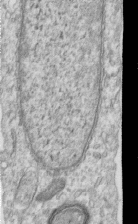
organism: Human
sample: Centriole in RPE cells